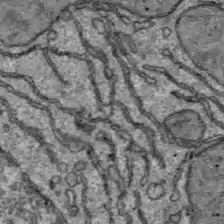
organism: C57BL Mouse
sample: Liver